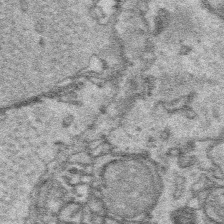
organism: Platynereis dumerilii